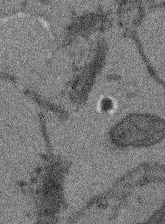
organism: Arabidopsis thaliana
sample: Root tip